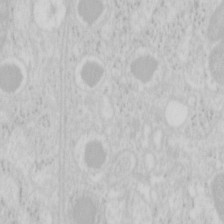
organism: Mouse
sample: Pancreas